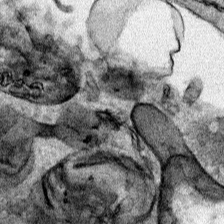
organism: Human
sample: Mitochondria in HCT116 cells